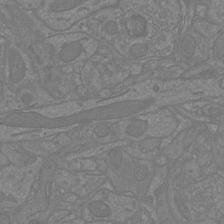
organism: Mouse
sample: Cortical neurons